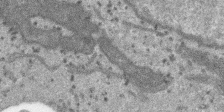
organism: Human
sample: Lung epithelial cells infected with SARS-CoV-2